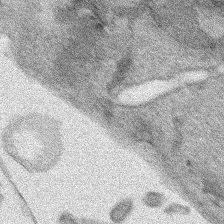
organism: Human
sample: Mitochondria in HCT116 cells